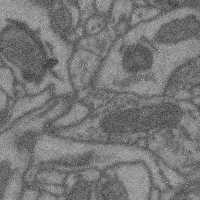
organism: Mouse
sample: Cerebral cortex